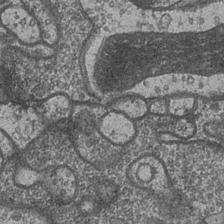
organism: Drosophila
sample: Optic medulla